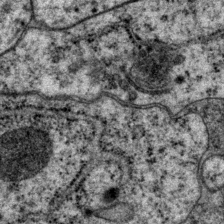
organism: P. pacificus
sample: Pharynx